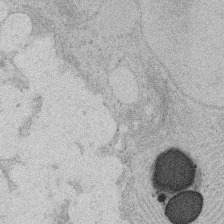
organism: Rat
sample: Salivary granule